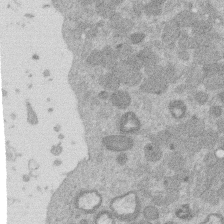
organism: Mouse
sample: Dividing mouse embryo 1 cell stage